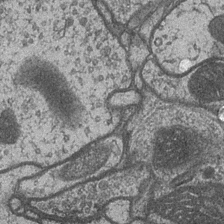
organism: Drosophila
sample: Optic medulla